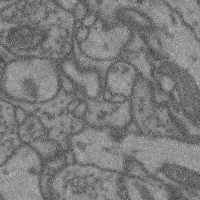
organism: Mouse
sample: Cerebral cortex